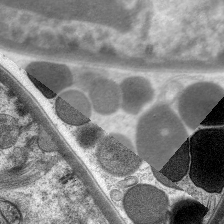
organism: C. elegans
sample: Pharynx